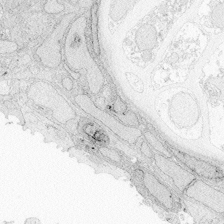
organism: Zebrafish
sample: Whole-Brain